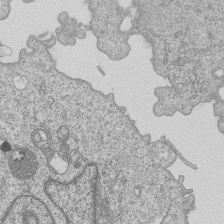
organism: Human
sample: MDA-MB-231 cells